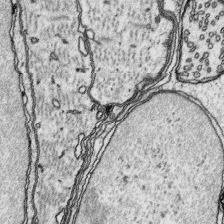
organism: Platynereis dumerilii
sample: Parapodia